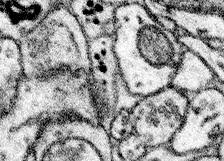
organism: Mouse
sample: Somatosensory cortex neuropil